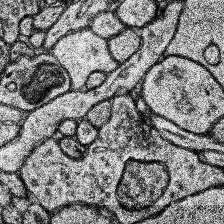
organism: Human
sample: Temporal Lobe